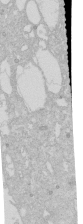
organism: Human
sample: Caco-2 cells